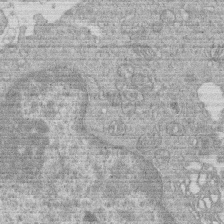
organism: Human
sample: Macrophage cells